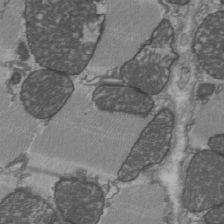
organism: C57BL Mouse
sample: Heart